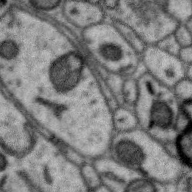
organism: Zebra finch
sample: Brain